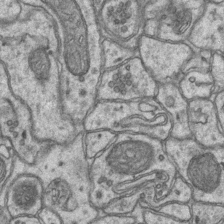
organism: Mouse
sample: CA1 Hippocampus